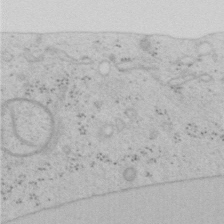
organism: Human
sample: HeLa cells